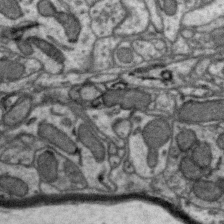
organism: Zebra finch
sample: Brain